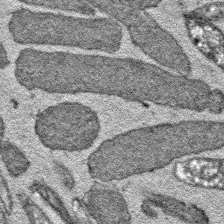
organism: E. coli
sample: E. Coli Bacteria